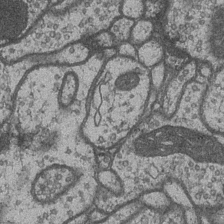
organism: Drosophila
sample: Optic medulla